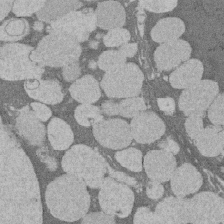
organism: Rat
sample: Salivary granule